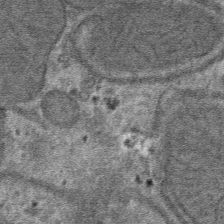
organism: Mouse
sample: Mouse hepatocytes